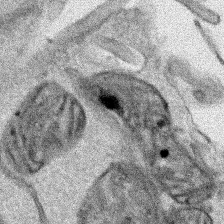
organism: Human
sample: Mitochondria in HCT116 cells